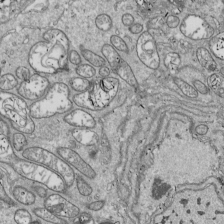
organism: Drosophila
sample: Cell division; meiosis; drosophila spermatocytes